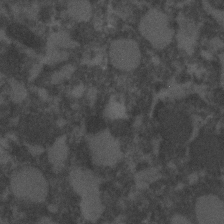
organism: C. elegans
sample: C. elegans embryo